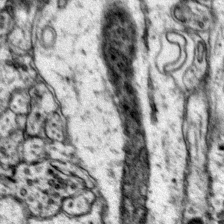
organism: Mouse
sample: Primary visual cortex